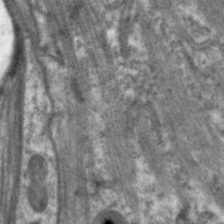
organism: C. elegans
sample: Pharynx